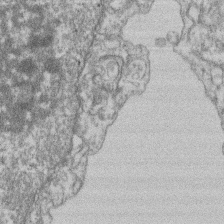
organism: Mouse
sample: T cell stromal cell synapse